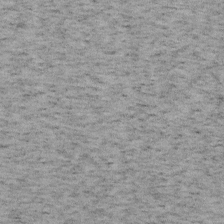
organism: Mouse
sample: OT-I killer T cells with ID8 ovarian cancer cells